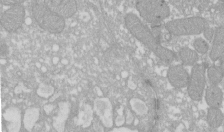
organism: Xenopus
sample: Cilia; centrioles in frog embryo cells